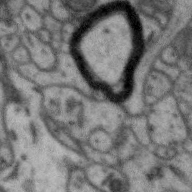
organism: Zebra finch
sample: Brain